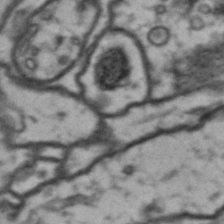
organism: Drosophila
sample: Brain